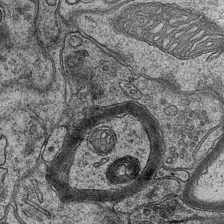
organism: Mouse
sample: CA1 Hippocampus